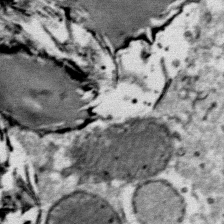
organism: Mouse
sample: Mouse Salivary gland